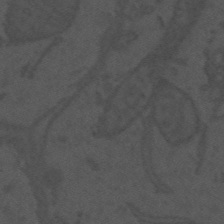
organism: Mouse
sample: Suprachiasmatic nucleus